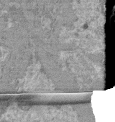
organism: Mouse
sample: Glomerulus